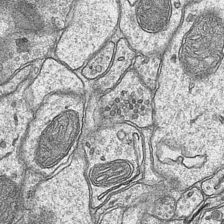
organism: Mouse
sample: CA1 Hippocampus